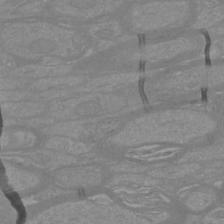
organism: Mouse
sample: Cortical neurons